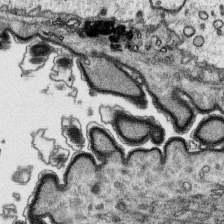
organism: Platynereis dumerilii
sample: Parapodia